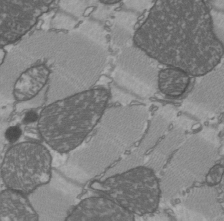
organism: C57BL Mouse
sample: Heart